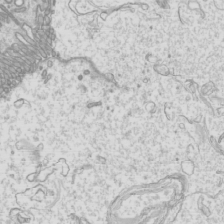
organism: Mouse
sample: Cilia; mouse epididymis